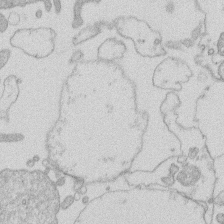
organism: Human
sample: Macrophage cells